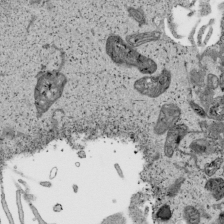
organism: Human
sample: Mitochondria in HCT116 cells